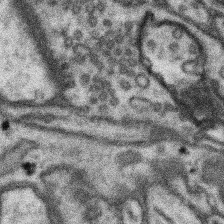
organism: Mouse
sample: Somatosensory cortex neuropil